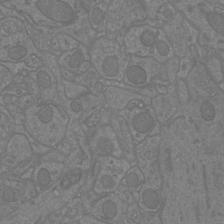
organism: Mouse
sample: Cortical neurons